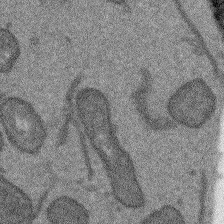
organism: Arabidopsis thaliana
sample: Root tip